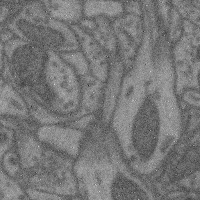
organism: Mouse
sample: Cerebral cortex